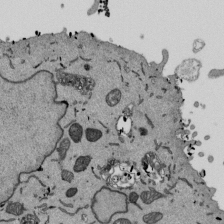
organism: Mouse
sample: ED-1 cell nuclei; centrioles